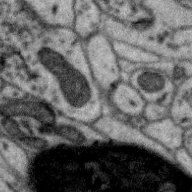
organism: Zebra finch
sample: Brain